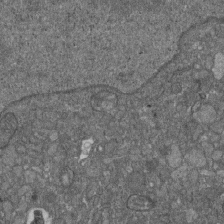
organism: Drosophila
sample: Nephrocyte